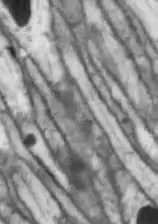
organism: Drosophila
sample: Optic lobe